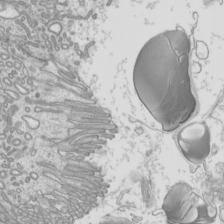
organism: Mouse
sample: Cilia; mouse epididymis